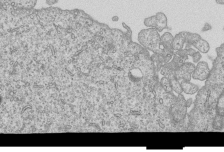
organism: Human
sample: MDA-MB-231 cells